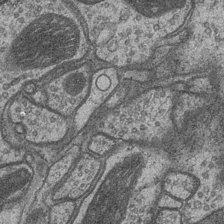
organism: Drosophila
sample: Optic medulla